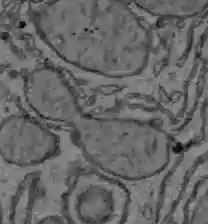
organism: C57BL Mouse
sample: Liver